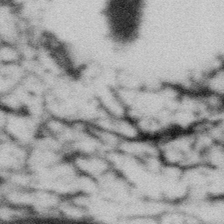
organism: Gemmata obscuriglobus